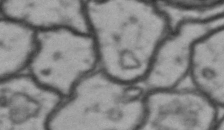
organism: Drosophila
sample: Brain